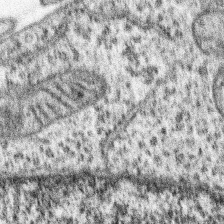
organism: Human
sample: HeLa cells